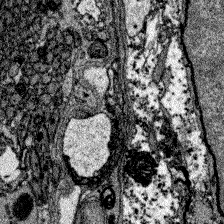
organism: Zebrafish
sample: Larval olfactory bulb